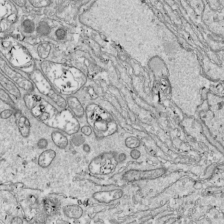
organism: Drosophila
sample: Cell division; meiosis; drosophila spermatocytes